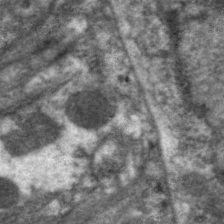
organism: C. elegans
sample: Pharynx